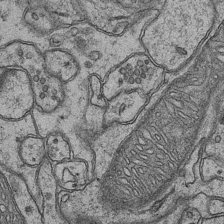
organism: Mouse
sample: CA1 Hippocampus